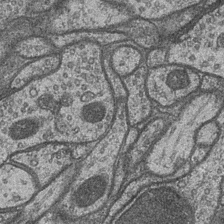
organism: Drosophila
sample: Optic medulla